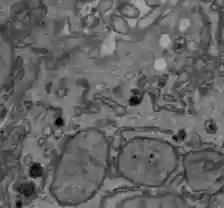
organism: C57BL Mouse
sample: Liver